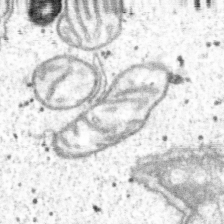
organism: Human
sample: HeLa cells